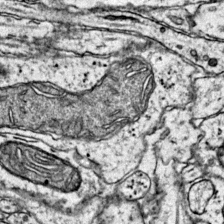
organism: Mouse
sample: Primary visual cortex